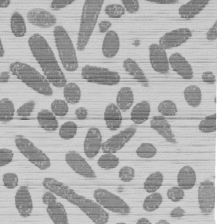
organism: E. coli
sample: Bacterial nucleoid